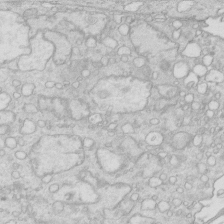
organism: Mouse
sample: Multiciliated cells